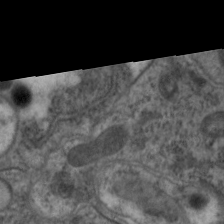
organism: C. elegans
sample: Pharynx